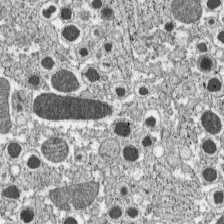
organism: C57BL Mouse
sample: Pancreatic islet